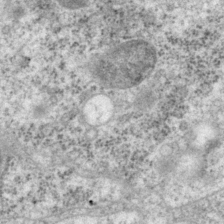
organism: P. pacificus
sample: Pharynx